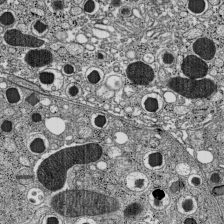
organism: C57BL Mouse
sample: Pancreatic islet